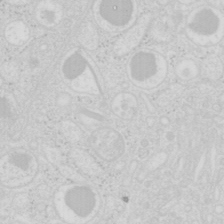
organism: Mouse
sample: Pancreas